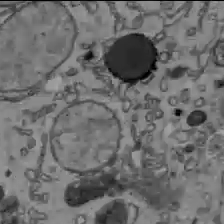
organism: C57BL Mouse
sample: Liver